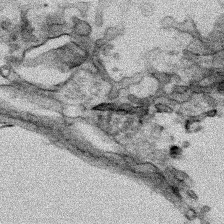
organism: Human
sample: Mitochondria in HCT116 cells